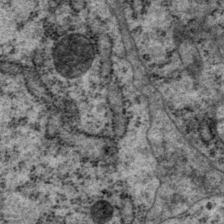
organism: P. pacificus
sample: Pharynx